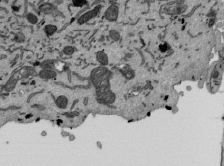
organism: Mouse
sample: ED-1 cell nuclei; centrioles